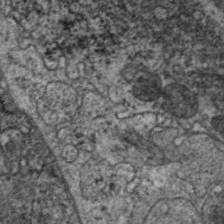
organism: C. elegans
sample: Pharynx